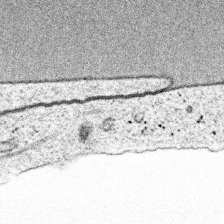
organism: Human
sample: HeLa cells